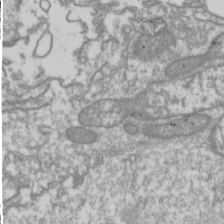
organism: Drosophila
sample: Cell division; meiosis; drosophila spermatocytes